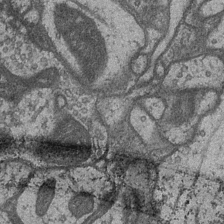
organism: Drosophila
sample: Optic medulla